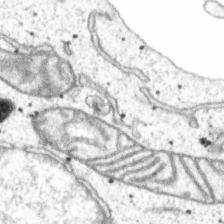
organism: Human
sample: HeLa cells